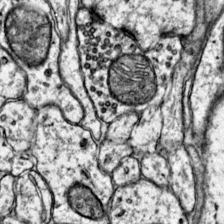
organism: Mouse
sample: Primary visual cortex